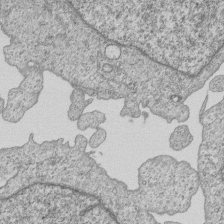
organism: Human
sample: MDA-MB-231 cells